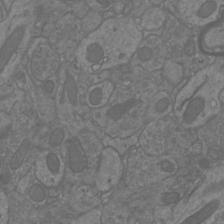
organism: Mouse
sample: Cortical neurons